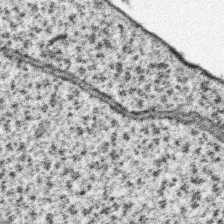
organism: Human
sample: HeLa cells